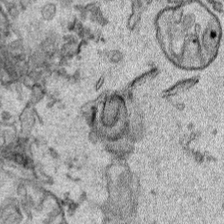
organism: Human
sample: Mitochondria in HCT116 cells